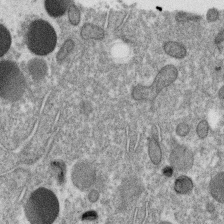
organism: C. elegans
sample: C. elegans oocyte; sperm cells